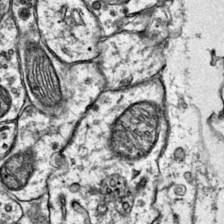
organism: Mouse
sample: Primary visual cortex